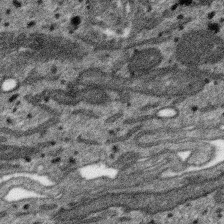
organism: Human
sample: Lung epithelial cells infected with SARS-CoV-2